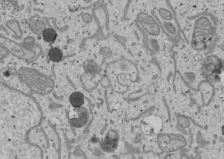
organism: Human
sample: Mitochondria in U2OS cells